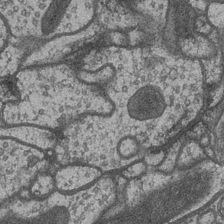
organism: Drosophila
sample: Optic medulla